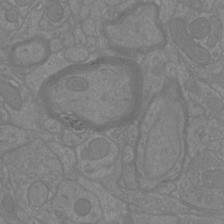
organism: Mouse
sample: Cortical neurons